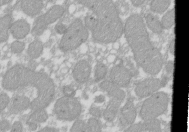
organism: Xenopus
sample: Cilia; centrioles in frog embryo cells